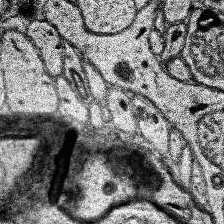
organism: Human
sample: Temporal Lobe